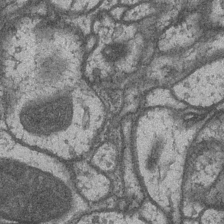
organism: Drosophila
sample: Optic medulla